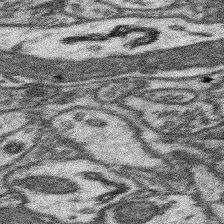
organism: Mouse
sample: Somatosensory cortex neuropil